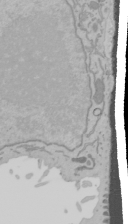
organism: Mouse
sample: Cancer cell death in ED-1 cells